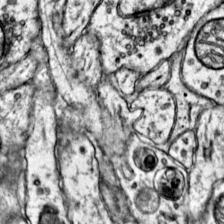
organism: Mouse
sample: Primary visual cortex